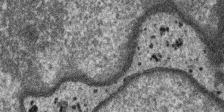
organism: Human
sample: Lung epithelial cells infected with SARS-CoV-2